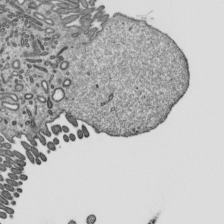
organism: Mouse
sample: Mouse epididymis efferent ductule cilia